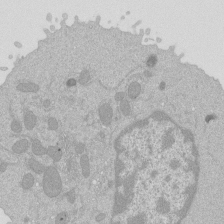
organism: Mouse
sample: Activated Pmel transgenic CD8+ T Cells